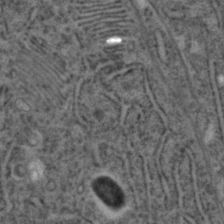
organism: C. elegans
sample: C. elegans embryo